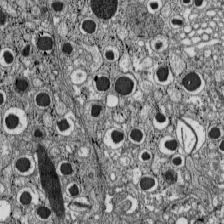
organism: C57BL Mouse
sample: Pancreatic islet